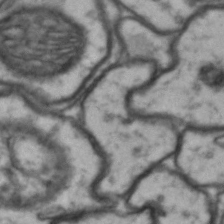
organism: Drosophila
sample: Brain